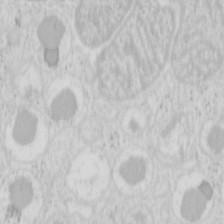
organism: Mouse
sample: Pancreas